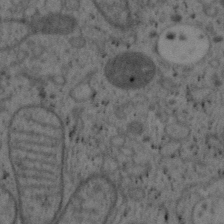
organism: Human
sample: HeLa cells